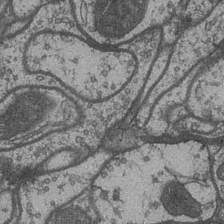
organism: Drosophila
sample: Optic medulla